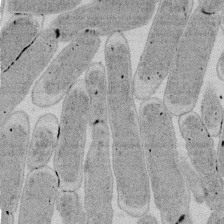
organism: E. coli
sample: Bacterial nucleoid